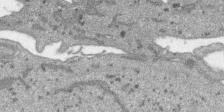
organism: Human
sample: Lung epithelial cells infected with SARS-CoV-2